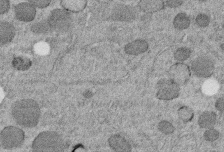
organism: C. elegans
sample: C. elegans embryo early stage